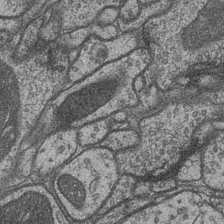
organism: Drosophila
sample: Optic medulla